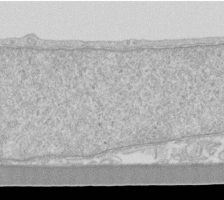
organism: Human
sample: Fibroblast cells